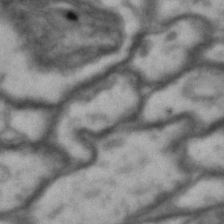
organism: Drosophila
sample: Brain